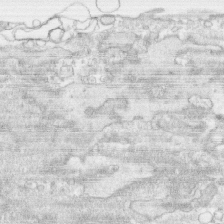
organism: Human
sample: CRL-1474